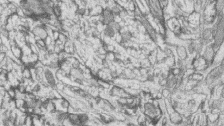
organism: Zebrafish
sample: synaptic ribbons in rod cells and cone cells